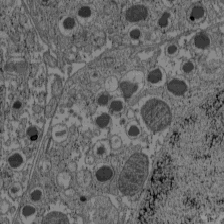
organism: C57BL Mouse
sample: Pancreatic islet